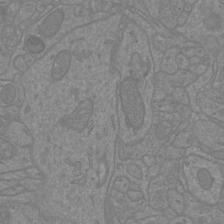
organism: Mouse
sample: Cortical neurons